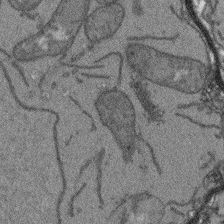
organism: Arabidopsis thaliana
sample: Root tip